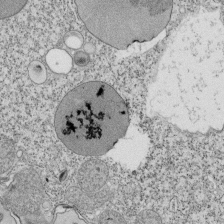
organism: Tetrahymena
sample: Cilia in tetrahymena